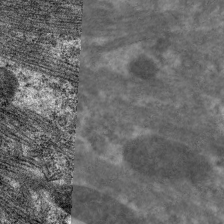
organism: C. elegans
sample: Pharynx